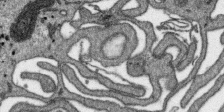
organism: Human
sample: Lung epithelial cells, uninfected (mock) control